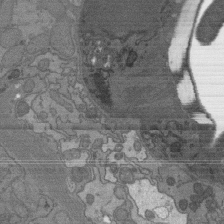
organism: C. elegans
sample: AFD neurons C. elegans